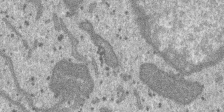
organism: Human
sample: Lung epithelial cells infected with SARS-CoV-2